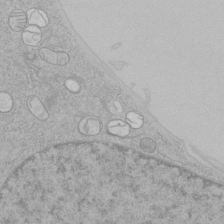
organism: Human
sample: Mitochondria in HCT116 cells